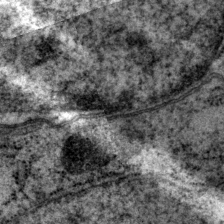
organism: P. pacificus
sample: Pharynx